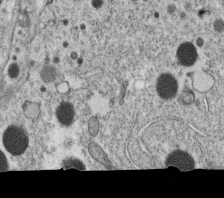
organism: C. elegans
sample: C. elegans oocyte; sperm cells